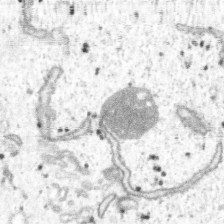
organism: Human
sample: HeLa cells